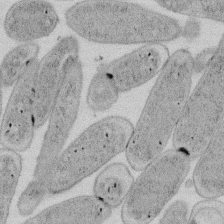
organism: E. coli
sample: Bacterial nucleoid